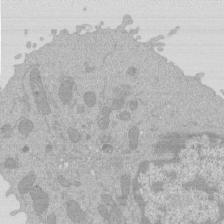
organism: Mouse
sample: Activated Pmel transgenic CD8+ T Cells